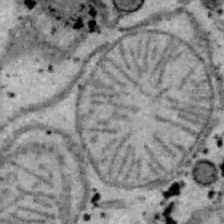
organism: Mouse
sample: Liver from an obese (ob/ob) mouse